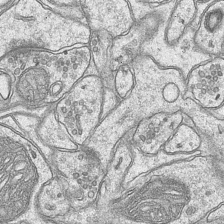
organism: Mouse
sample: CA1 Hippocampus